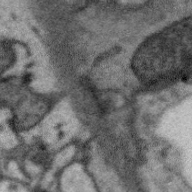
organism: Zebra finch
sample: Brain